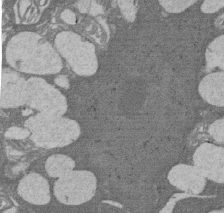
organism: Rat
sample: Salivary granule